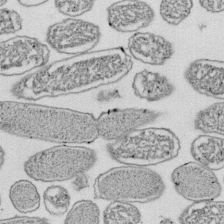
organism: E. coli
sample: Bacterial nucleoid